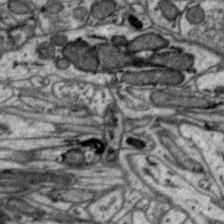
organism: Zebra finch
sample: Brain